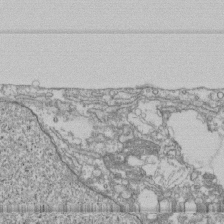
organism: Human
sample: Fibroblast cells